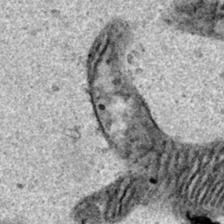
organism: Human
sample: Mitochondria in HCT116 cells